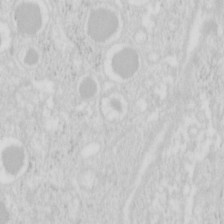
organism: Mouse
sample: Pancreas